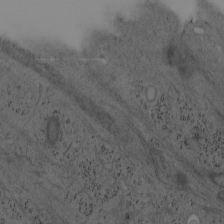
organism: Mouse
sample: OT-I killer T cells with ID8 ovarian cancer cells